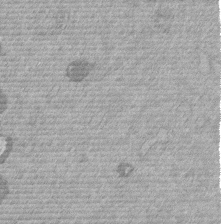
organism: Mouse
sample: Dividing mouse embryo 1 cell stage